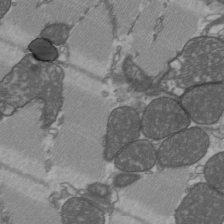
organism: C57BL Mouse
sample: Heart